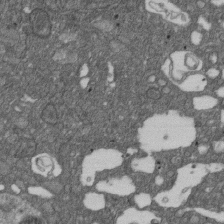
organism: Drosophila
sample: Nephrocyte